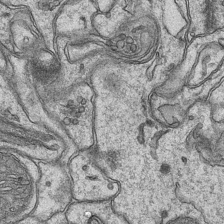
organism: Mouse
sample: CA1 Hippocampus